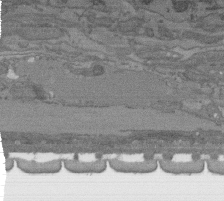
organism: C. elegans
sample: AFD neurons C. elegans